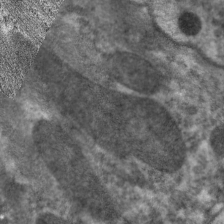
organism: C. elegans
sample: Pharynx